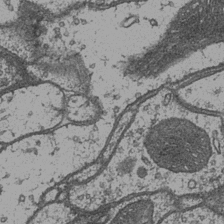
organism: Drosophila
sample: Optic medulla